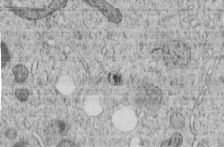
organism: C. elegans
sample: C. elegans embryo early stage